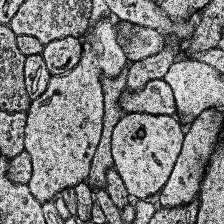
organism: Human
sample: Temporal Lobe